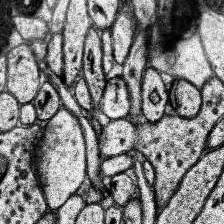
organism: Human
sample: Temporal Lobe